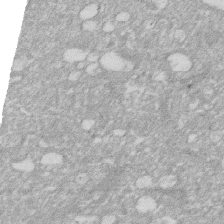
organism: Human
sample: HIV infected U937 cells